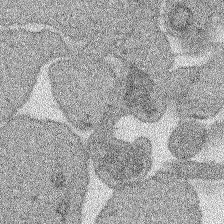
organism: Human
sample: HeLa cells